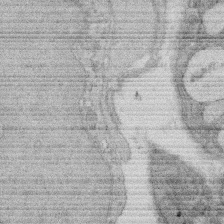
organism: Rat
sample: Salivary granule